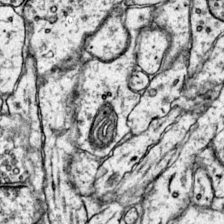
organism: Mouse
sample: Primary visual cortex